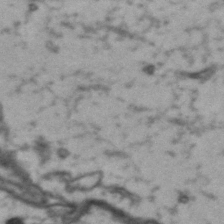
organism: Drosophila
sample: Brain